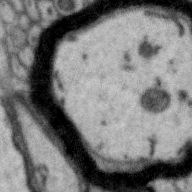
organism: Zebra finch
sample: Brain